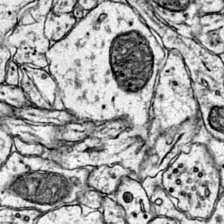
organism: Mouse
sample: Primary visual cortex